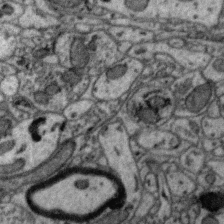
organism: Zebra finch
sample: Brain